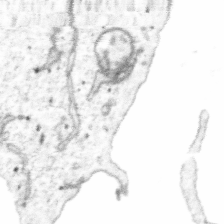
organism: Human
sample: HeLa cells